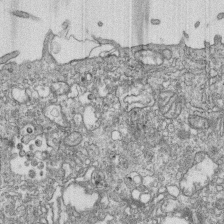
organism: Human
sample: HeLa cell HIV synapse